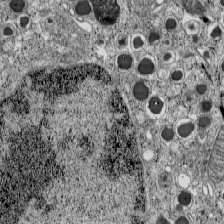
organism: C57BL Mouse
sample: Pancreatic islet